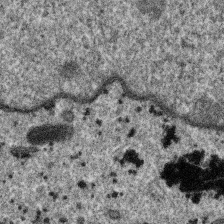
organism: Human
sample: Lung epithelial cells infected with SARS-CoV-2